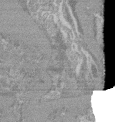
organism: Mouse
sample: Glomerulus